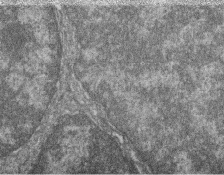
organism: Zebrafish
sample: Cilia; retinal pigment epithelium